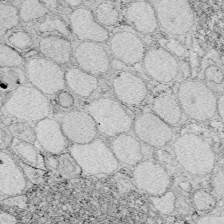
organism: Zebrafish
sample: Whole-Brain